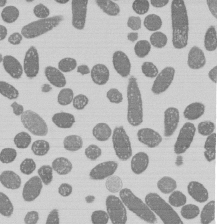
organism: E. coli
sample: Bacterial nucleoid